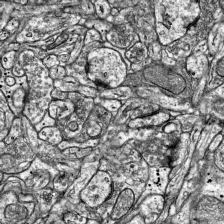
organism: Mouse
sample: Visual Cortex